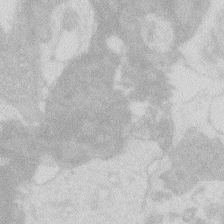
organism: Zebrafish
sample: Macrophage